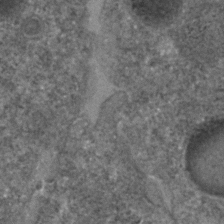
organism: C. elegans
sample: C. elegans embryo